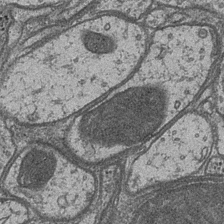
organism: Drosophila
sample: Optic medulla